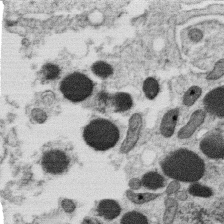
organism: C. elegans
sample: C. elegans oocyte; sperm cells